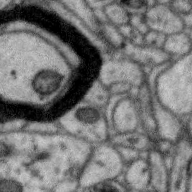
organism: Zebra finch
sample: Brain